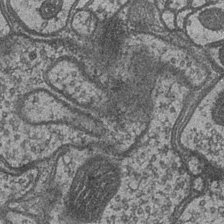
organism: Drosophila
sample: Optic medulla